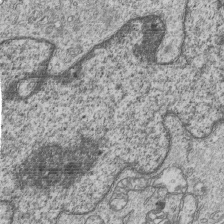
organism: Human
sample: MDA-MB-231 cells